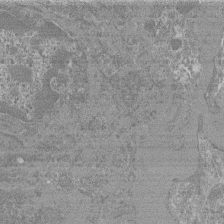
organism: Mouse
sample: Glomerulus